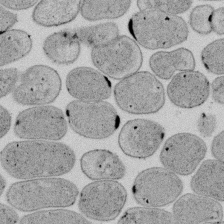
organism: E. coli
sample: Bacterial nucleoid